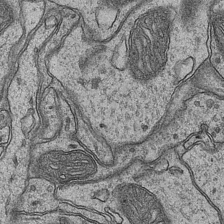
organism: Mouse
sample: CA1 Hippocampus